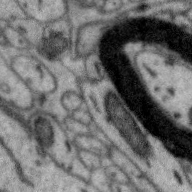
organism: Zebra finch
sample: Brain